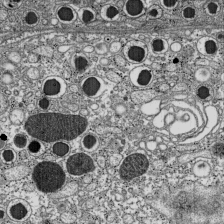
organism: C57BL Mouse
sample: Pancreatic islet